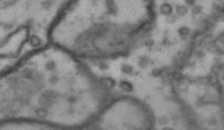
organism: Drosophila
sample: Brain